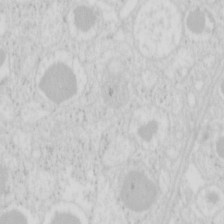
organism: Mouse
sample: Pancreas